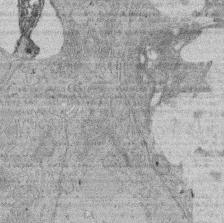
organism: Rat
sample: Salivary granule